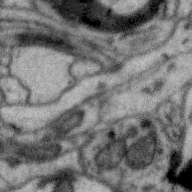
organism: Zebra finch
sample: Brain